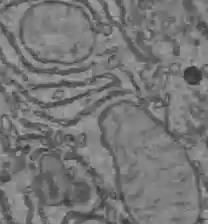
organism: C57BL Mouse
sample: Liver